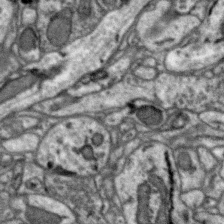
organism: Zebra finch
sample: Brain